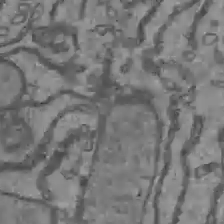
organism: C57BL Mouse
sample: Liver